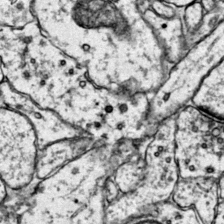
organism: Mouse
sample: Primary visual cortex